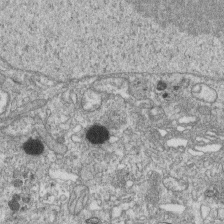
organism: Human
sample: HeLa cell HIV synapse